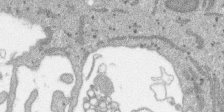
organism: Human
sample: Lung epithelial cells infected with SARS-CoV-2